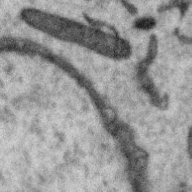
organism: Zebra finch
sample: Brain